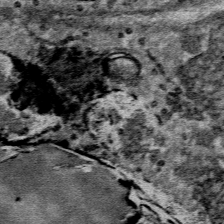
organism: Mouse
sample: Mouse Salivary gland